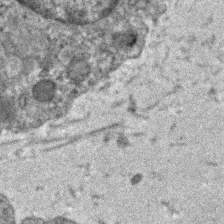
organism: Human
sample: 1205lu cells